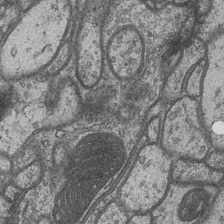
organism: Drosophila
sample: Optic medulla